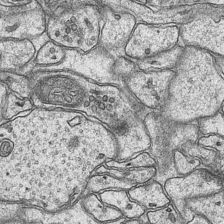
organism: Mouse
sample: CA1 Hippocampus